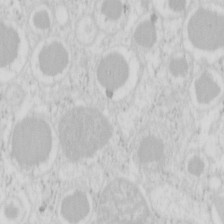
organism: Mouse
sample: Pancreas